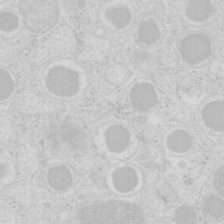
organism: Mouse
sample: Pancreas